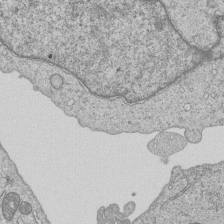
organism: Human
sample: MDA-MB-231 cells